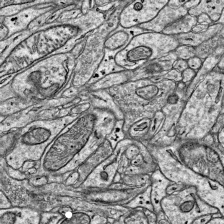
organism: Mouse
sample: Visual Cortex